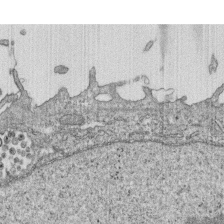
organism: Human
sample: HeLa cell HIV synapse